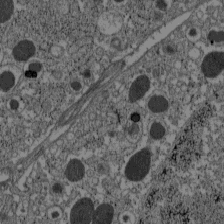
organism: C57BL Mouse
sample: Pancreatic islet